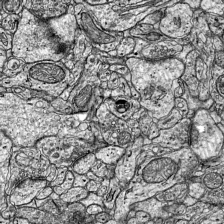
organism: Mouse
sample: Visual Cortex